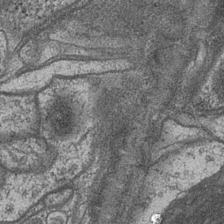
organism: Drosophila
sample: Optic medulla